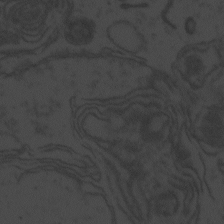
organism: Zebrafish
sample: Macrophage infected with Toxoplasma gondii